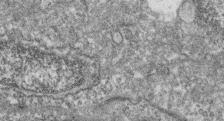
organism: Zebrafish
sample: Cilia; retinal pigment epithelium